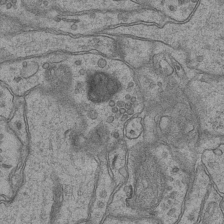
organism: Mouse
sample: CA1 Hippocampus